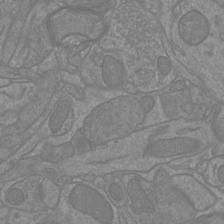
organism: Mouse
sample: Cortical neurons